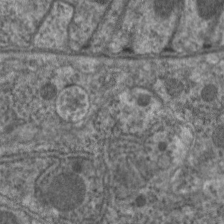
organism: C. elegans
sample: Pharynx